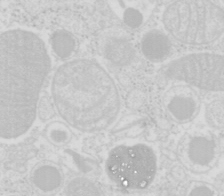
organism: Mouse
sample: Pancreas